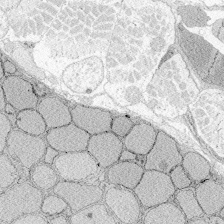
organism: Zebrafish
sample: Whole-Brain